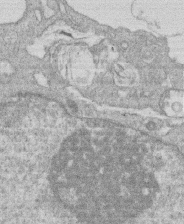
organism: Human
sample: Macrophage cells